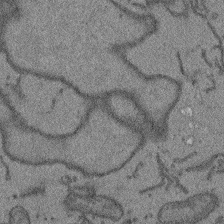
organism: Arabidopsis thaliana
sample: Root tip